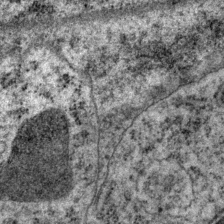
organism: P. pacificus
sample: Pharynx